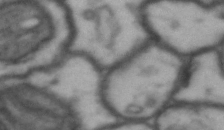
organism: Drosophila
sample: Brain